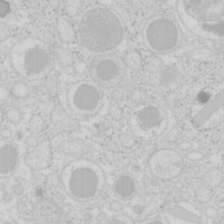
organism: Mouse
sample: Pancreas